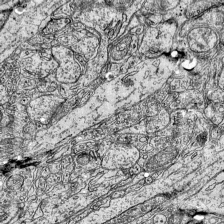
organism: Mouse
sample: Visual Cortex